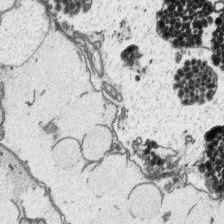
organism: Platynereis dumerilii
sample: Parapodia